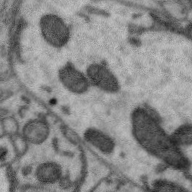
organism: Zebra finch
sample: Brain